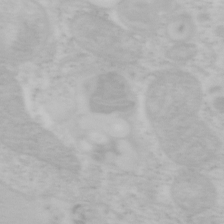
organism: Mouse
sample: OT-I killer T cells with ID8 ovarian cancer cells